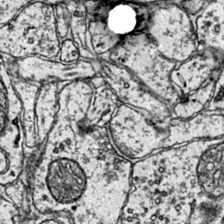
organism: Mouse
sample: Primary visual cortex